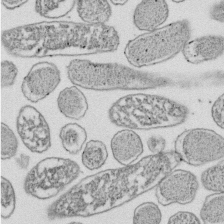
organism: E. coli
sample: Bacterial nucleoid